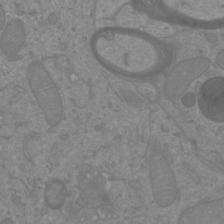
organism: Mouse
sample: Cortical neurons